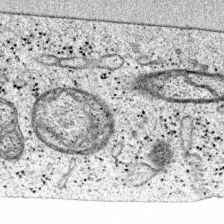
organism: Human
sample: HeLa cells